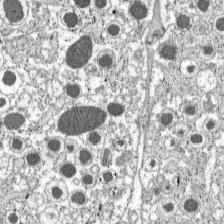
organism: C57BL Mouse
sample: Pancreatic islet